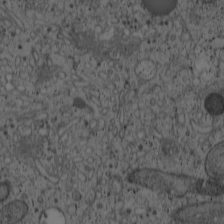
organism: African green monkey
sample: COS-7 cells